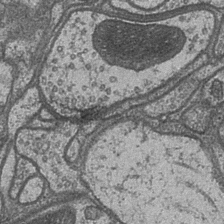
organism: Drosophila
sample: Optic medulla